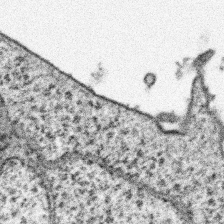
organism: Human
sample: HeLa cells